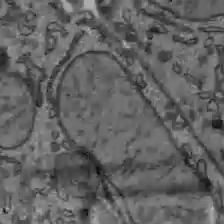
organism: C57BL Mouse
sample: Liver